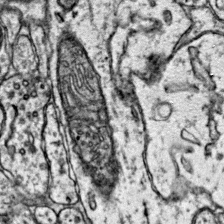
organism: Mouse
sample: Primary visual cortex